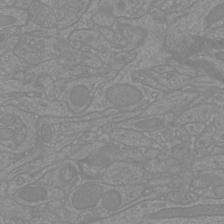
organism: Mouse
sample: Cortical neurons